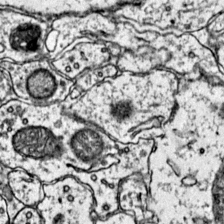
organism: Mouse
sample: Primary visual cortex